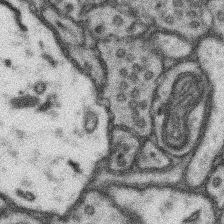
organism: Mouse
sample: Somatosensory cortex neuropil